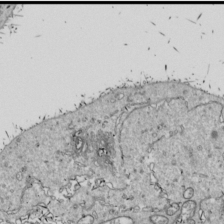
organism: Drosophila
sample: Cell division; meiosis; drosophila spermatocytes